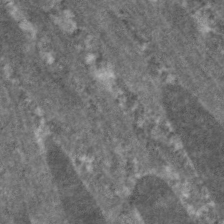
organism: C. elegans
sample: Pharynx